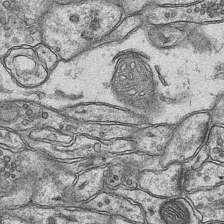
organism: Mouse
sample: CA1 Hippocampus